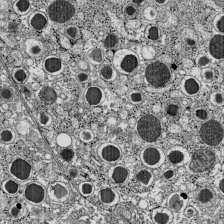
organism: C57BL Mouse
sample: Pancreatic islet